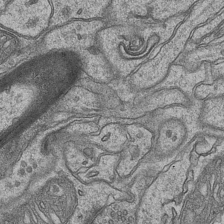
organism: Mouse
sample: CA1 Hippocampus